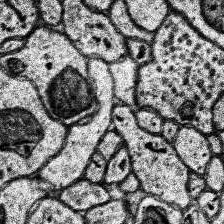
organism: Human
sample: Temporal Lobe